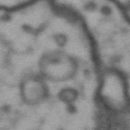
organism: Drosophila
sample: Brain